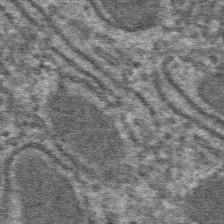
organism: Mouse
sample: Mouse hepatocytes